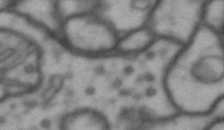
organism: Drosophila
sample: Brain